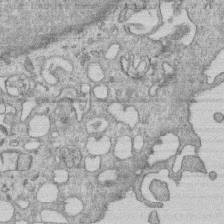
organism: Human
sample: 1205lu cells